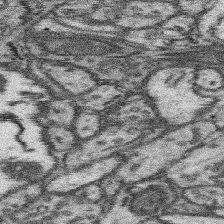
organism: Mouse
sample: Somatosensory cortex neuropil